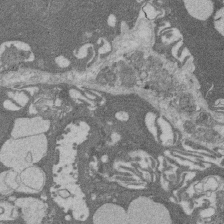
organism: Rat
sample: Salivary granule